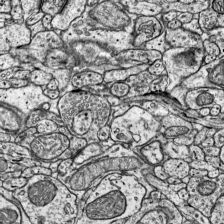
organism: Mouse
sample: Visual Cortex